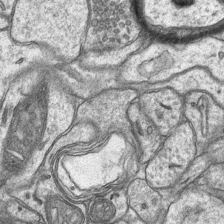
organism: Mouse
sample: CA1 Hippocampus